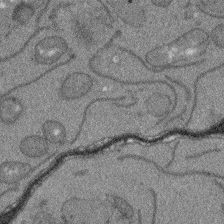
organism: Arabidopsis thaliana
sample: Root tip